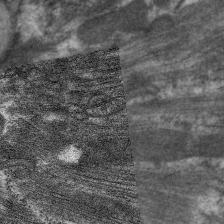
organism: C. elegans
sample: Pharynx